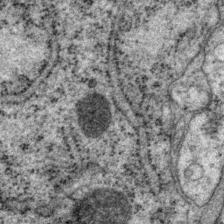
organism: P. pacificus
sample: Pharynx